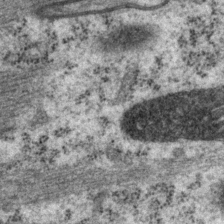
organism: P. pacificus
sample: Pharynx